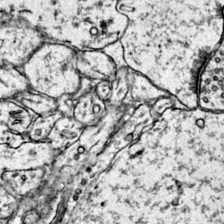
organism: Mouse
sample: Primary visual cortex